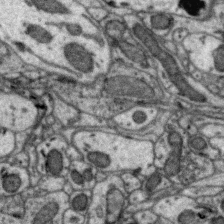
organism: Zebra finch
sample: Brain